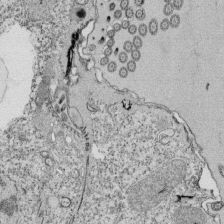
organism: Tetrahymena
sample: Cilia in tetrahymena